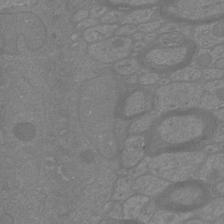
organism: Mouse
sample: Cortical neurons